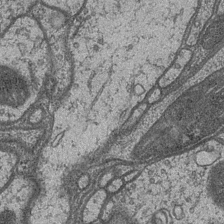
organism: Drosophila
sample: Optic medulla